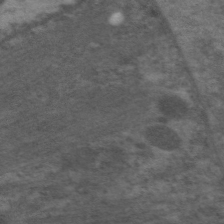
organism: C. elegans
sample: Pharynx